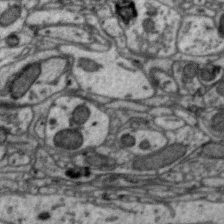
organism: Zebra finch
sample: Brain